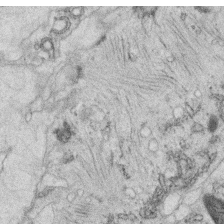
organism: C. elegans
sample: C. elegans oocyte; sperm cells